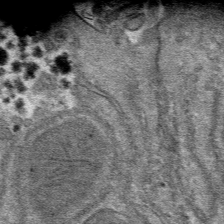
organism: Mouse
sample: Mouse hepatocytes